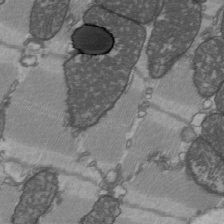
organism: C57BL Mouse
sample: Heart